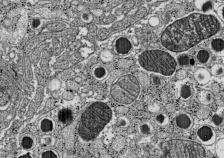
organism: C57BL Mouse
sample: Pancreatic islet